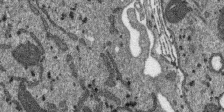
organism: Human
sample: Lung epithelial cells infected with SARS-CoV-2